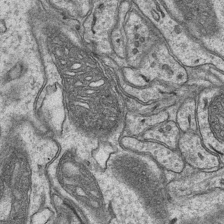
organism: Mouse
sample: CA1 Hippocampus